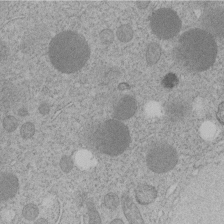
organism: C. elegans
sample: C. elegans embryo early stage